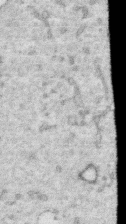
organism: Human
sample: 1205lu cells